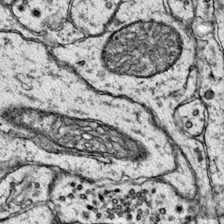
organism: Mouse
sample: Primary visual cortex